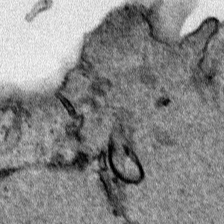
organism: Human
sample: Mitochondria in HCT116 cells